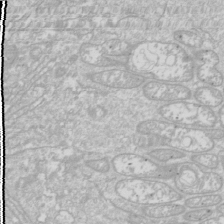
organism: Drosophila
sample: Cell division; meiosis; drosophila spermatocytes